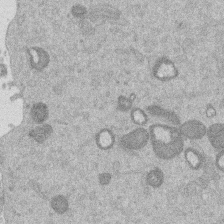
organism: Mouse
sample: Dividing mouse embryo 1 cell stage